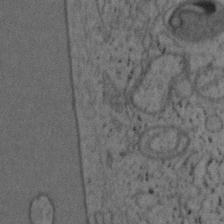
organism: Human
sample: HeLa cells